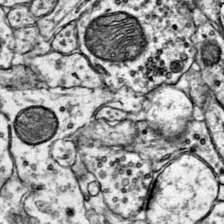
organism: Mouse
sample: Primary visual cortex